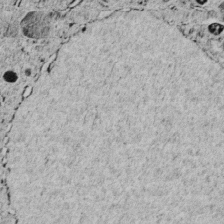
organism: C. elegans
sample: C. elegans embryo early stage